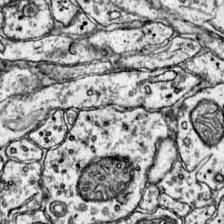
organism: Mouse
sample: Primary visual cortex